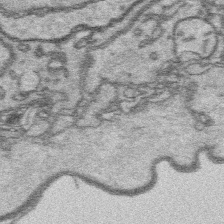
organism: Platynereis dumerilii